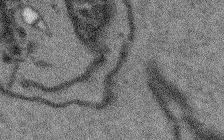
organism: Arabidopsis thaliana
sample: Root tip